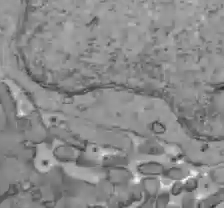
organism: C57BL Mouse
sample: Liver